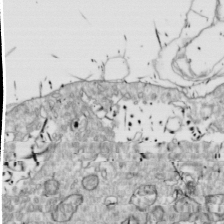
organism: Drosophila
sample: Cell division; meiosis; drosophila spermatocytes